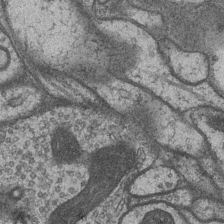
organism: Drosophila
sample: Optic medulla